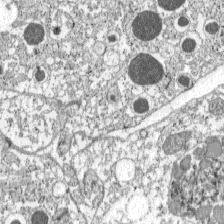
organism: C57BL Mouse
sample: Pancreatic islet